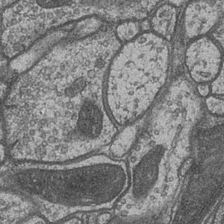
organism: Drosophila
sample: Optic medulla